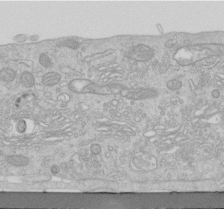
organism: Human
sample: Centriole in RPE cells